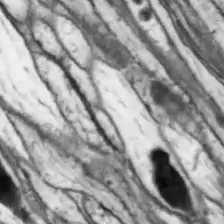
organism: Drosophila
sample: Optic lobe